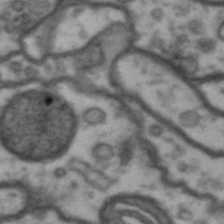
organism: Drosophila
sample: Brain